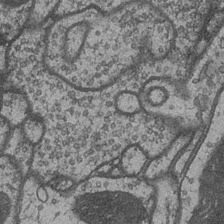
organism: Drosophila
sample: Optic medulla